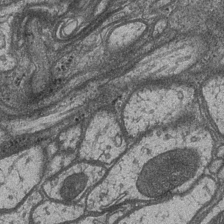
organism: Drosophila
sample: Optic medulla